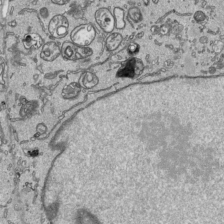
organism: Human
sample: Mitochondria in HCT116 cells